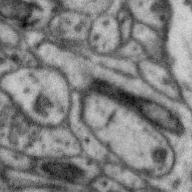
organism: Zebra finch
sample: Brain